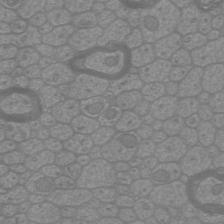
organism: Mouse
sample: Cortical neurons